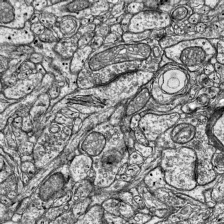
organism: Mouse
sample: Visual Cortex